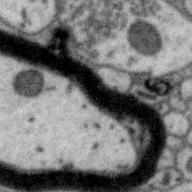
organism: Zebra finch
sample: Brain